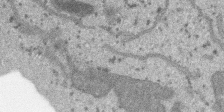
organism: Human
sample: Lung epithelial cells infected with SARS-CoV-2